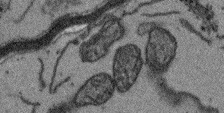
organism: Arabidopsis thaliana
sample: Root tip